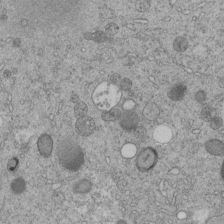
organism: C. elegans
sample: C. elegans embryo early stage